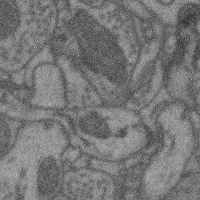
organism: Mouse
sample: Cerebral cortex